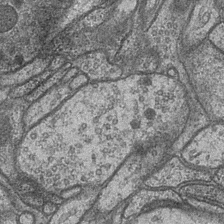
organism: Drosophila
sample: Optic medulla